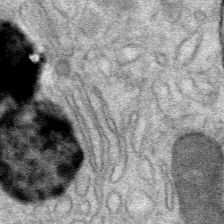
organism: Mouse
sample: Mouse Salivary gland